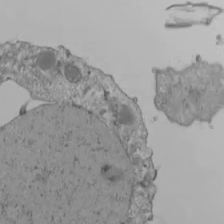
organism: Human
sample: Jurkat E6-1 and CD4 cells